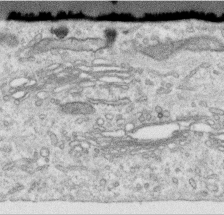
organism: Human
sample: Centriole in RPE cells